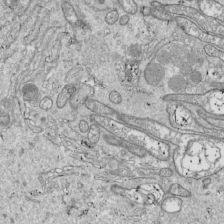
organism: Drosophila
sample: Cell division; meiosis; drosophila spermatocytes